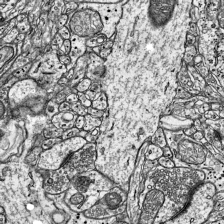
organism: Mouse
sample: Visual Cortex